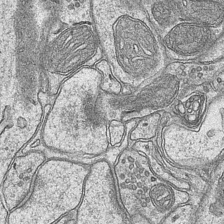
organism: Mouse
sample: CA1 Hippocampus